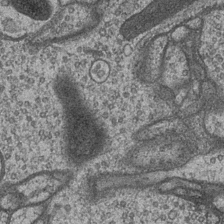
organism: Drosophila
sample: Optic medulla